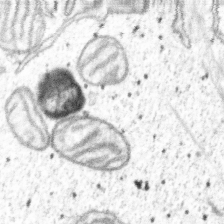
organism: Human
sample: HeLa cells